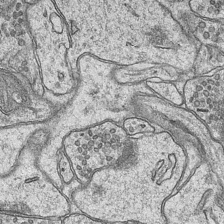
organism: Mouse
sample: CA1 Hippocampus